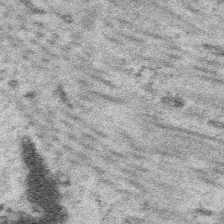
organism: Platynereis dumerilii